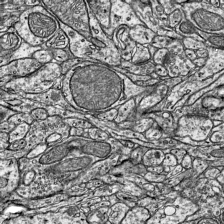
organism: Mouse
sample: Visual Cortex